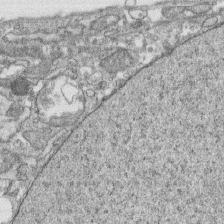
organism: Human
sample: CRL-1474